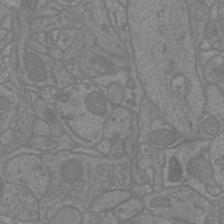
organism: Mouse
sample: Cortical neurons